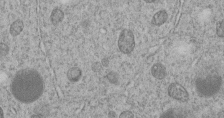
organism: C. elegans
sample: C. elegans embryo early stage